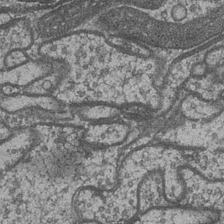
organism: Drosophila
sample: Optic medulla